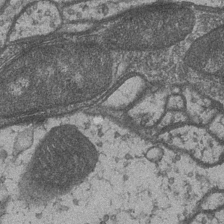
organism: Drosophila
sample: Optic medulla